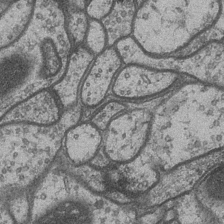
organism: Drosophila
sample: Optic medulla